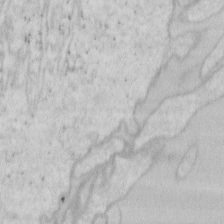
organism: Human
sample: HeLa cells